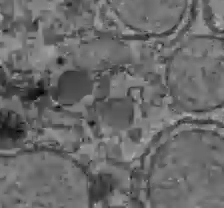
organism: C57BL Mouse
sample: Liver